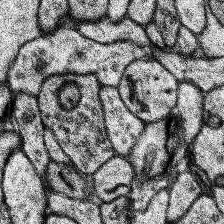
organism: Human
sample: Temporal Lobe